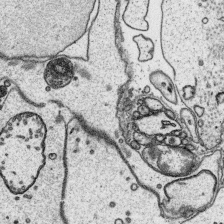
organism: Platynereis dumerilii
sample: Parapodia